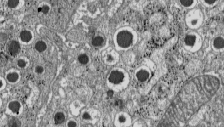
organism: C57BL Mouse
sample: Pancreatic islet